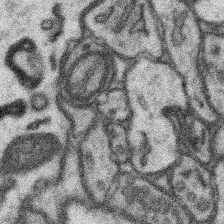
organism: Mouse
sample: Somatosensory cortex neuropil